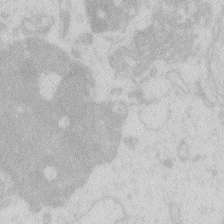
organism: Zebrafish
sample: Macrophage